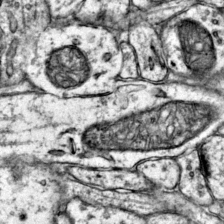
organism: Mouse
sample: Primary visual cortex